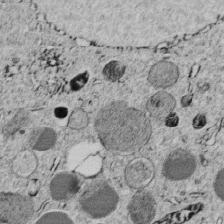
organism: C. elegans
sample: C. elegans embryo early stage